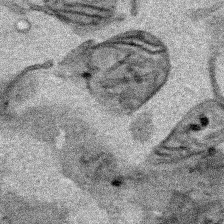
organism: Human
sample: Mitochondria in HCT116 cells